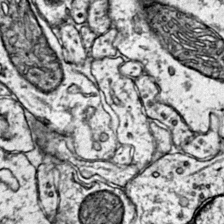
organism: Mouse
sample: Primary visual cortex